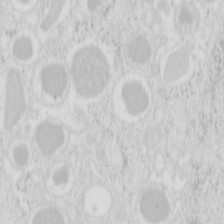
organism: Mouse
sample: Pancreas